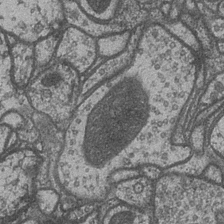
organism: Drosophila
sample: Optic medulla